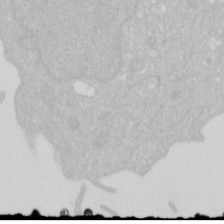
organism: Human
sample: HIV infected U937 cells